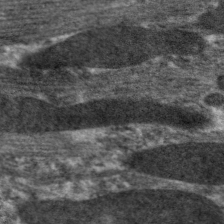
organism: C. elegans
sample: Pharynx